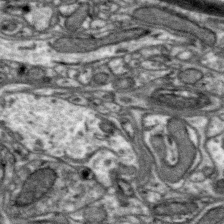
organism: Zebra finch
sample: Brain